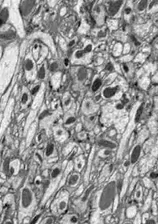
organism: Drosophila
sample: Optic lobe